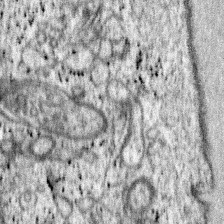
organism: Human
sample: HeLa cells